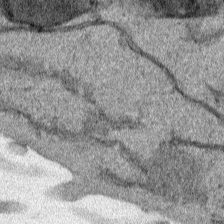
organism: Human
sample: Mitochondria in HCT116 cells